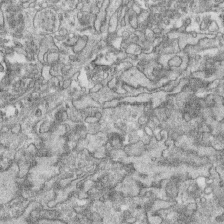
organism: Human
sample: CRL-1474